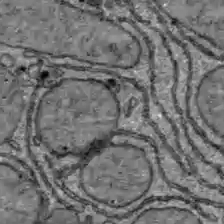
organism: C57BL Mouse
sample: Liver